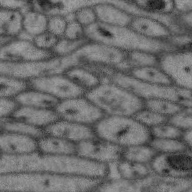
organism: Zebra finch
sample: Brain